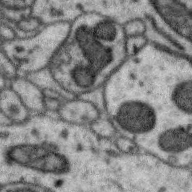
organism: Zebra finch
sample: Brain